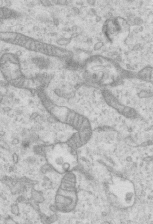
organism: Mouse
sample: Centriole in ependymal cells